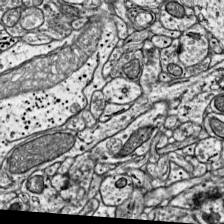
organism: Mouse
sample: Visual Cortex